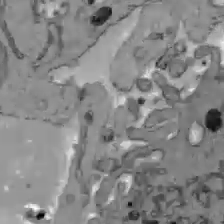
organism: C57BL Mouse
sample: Liver